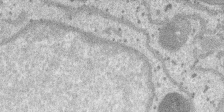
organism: Human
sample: Lung epithelial cells infected with SARS-CoV-2